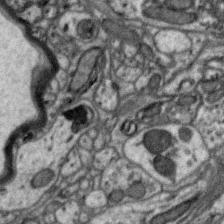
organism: Zebra finch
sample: Brain